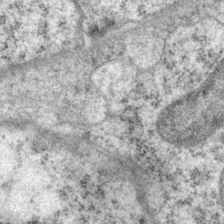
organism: P. pacificus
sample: Pharynx